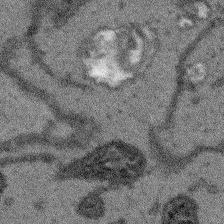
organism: Arabidopsis thaliana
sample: Root tip